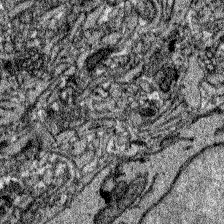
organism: Zebrafish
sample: Larval olfactory bulb